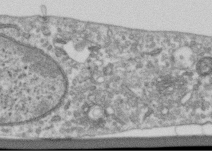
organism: Human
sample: Centriole in RPE cells